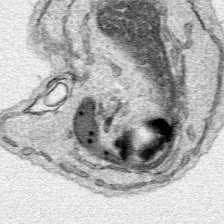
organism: Human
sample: Mitochondria in HCT116 cells